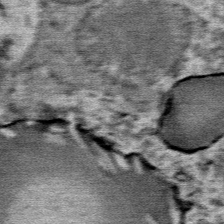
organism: Mouse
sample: Mouse Salivary gland